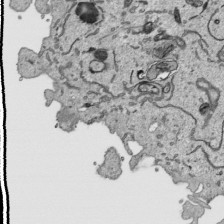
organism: Human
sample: Mitochondria in HCT116 cells